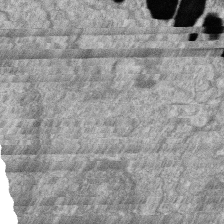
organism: Zebrafish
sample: Cilia; retinal pigment epithelium